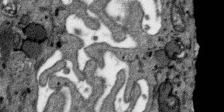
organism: Human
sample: Lung epithelial cells, uninfected (mock) control